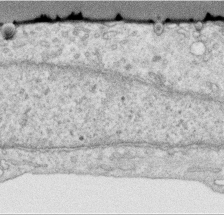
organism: Human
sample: Centriole in RPE cells